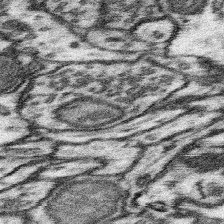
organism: Mouse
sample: Somatosensory cortex neuropil